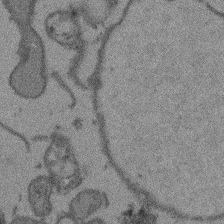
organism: Arabidopsis thaliana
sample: Root tip